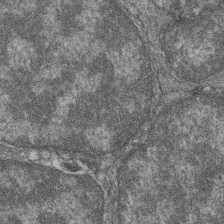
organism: Zebrafish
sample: Cilia; retinal pigment epithelium